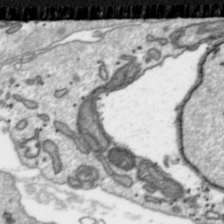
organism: Toxoplasma gondii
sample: Parasites in a vacuole inside a host cell